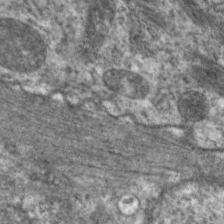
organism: C. elegans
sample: Pharynx